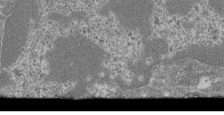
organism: Mouse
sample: Glomerulus